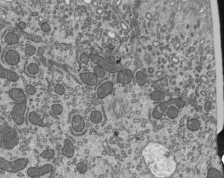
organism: Mouse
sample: Mouse epididymis efferent ductule cilia